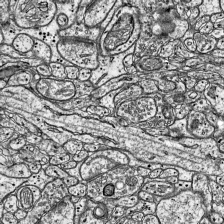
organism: Mouse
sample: Visual Cortex